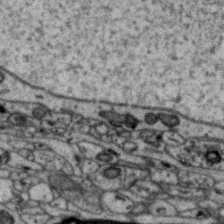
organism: Zebra finch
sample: Brain